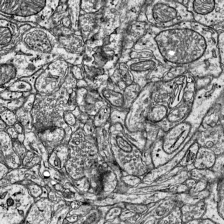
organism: Mouse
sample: Visual Cortex